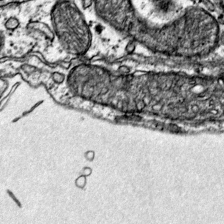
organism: Mouse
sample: Primary visual cortex